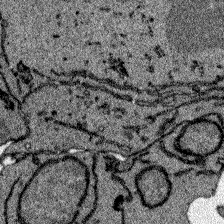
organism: Zebrafish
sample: Larval olfactory bulb